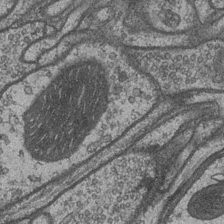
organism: Drosophila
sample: Optic medulla